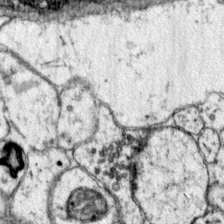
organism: Mouse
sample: Primary visual cortex